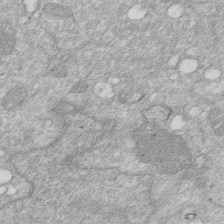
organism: Human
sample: HIV infected U937 cells